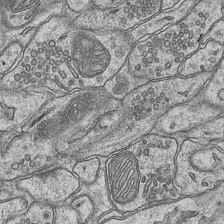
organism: Mouse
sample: CA1 Hippocampus